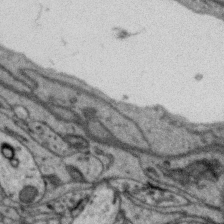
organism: Zebra finch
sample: Brain